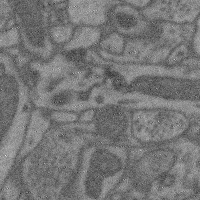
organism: Mouse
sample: Cerebral cortex